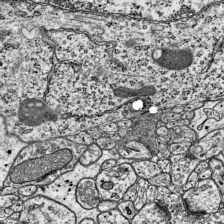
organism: Mouse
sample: Visual Cortex